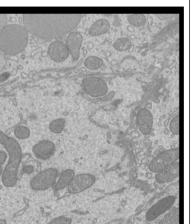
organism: Mouse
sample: Cilia; mouse epididymis